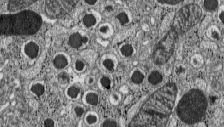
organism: C57BL Mouse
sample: Pancreatic islet